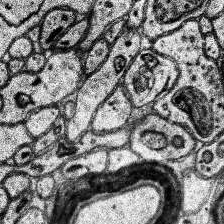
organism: Human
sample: Temporal Lobe